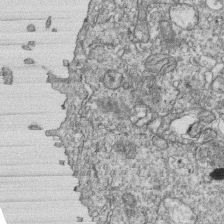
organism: Human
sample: HeLa cell HIV synapse